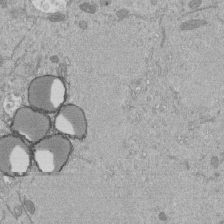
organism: Mouse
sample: ED-1 cell nuclei; centrioles